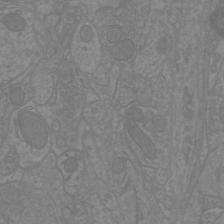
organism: Mouse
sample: Cortical neurons